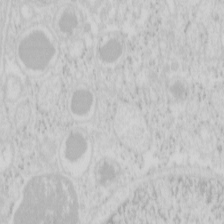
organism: Mouse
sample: Pancreas